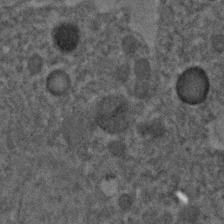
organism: C. elegans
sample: C. elegans embryo